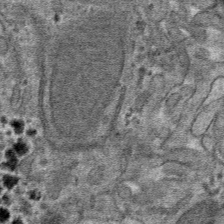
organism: Mouse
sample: Mouse hepatocytes